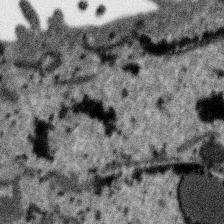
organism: Human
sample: Lung epithelial cells infected with SARS-CoV-2